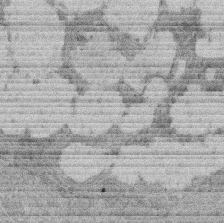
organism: Rat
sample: Salivary granule